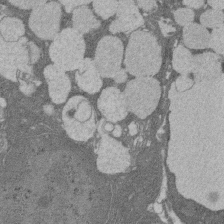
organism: Rat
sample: Salivary granule